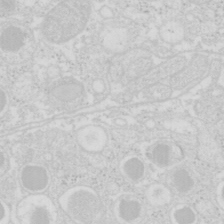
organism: Mouse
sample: Pancreas